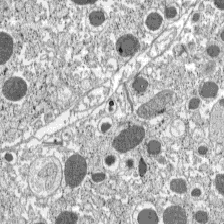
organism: C57BL Mouse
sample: Pancreatic islet